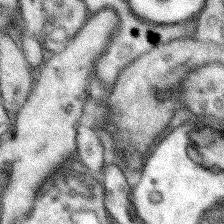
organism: Mouse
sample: Somatosensory cortex neuropil